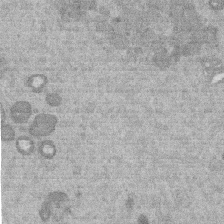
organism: Mouse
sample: Dividing mouse embryo 1 cell stage